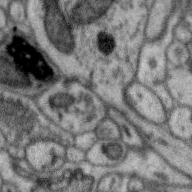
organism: Zebra finch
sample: Brain